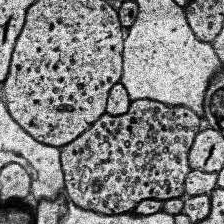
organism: Human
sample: Temporal Lobe